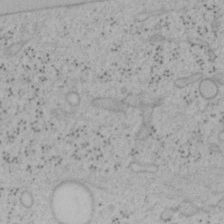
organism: Human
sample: HeLa cells